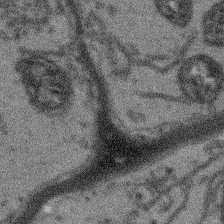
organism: Arabidopsis thaliana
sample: Root tip